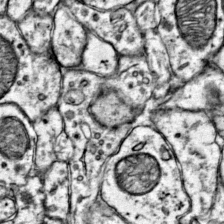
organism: Mouse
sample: Primary visual cortex